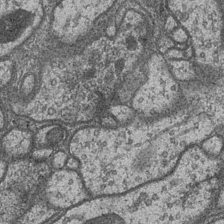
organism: Drosophila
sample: Optic medulla